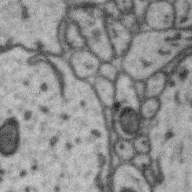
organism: Zebra finch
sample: Brain